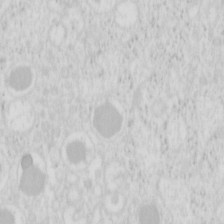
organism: Mouse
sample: Pancreas